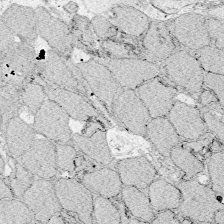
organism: Zebrafish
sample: Whole-Brain